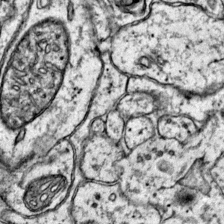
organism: Mouse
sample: Primary visual cortex